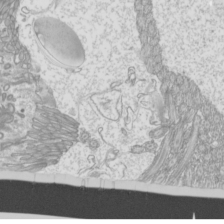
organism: Mouse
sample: Cilia; mouse epididymis